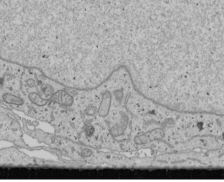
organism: Human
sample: Mitochondria in U2OS cells